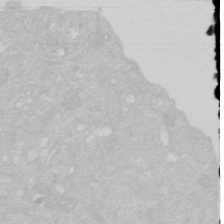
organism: Human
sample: HIV infected U937 cells